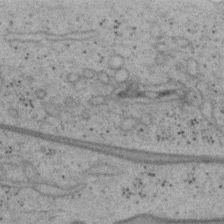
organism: Human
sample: HeLa cells